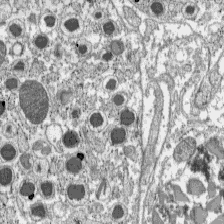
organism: C57BL Mouse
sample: Pancreatic islet